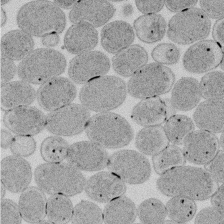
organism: E. coli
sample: Bacterial nucleoid